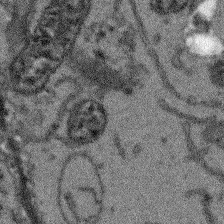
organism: Arabidopsis thaliana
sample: Root tip